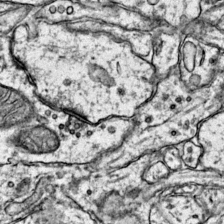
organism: Mouse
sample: Primary visual cortex